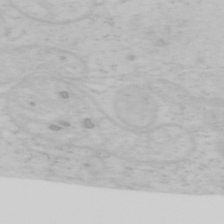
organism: Mouse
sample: OT-I killer T cells with ID8 ovarian cancer cells